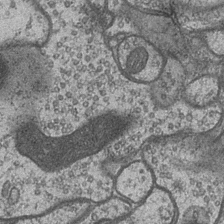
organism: Drosophila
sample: Optic medulla